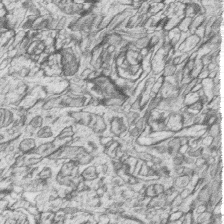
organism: Zebrafish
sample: synaptic ribbons in rod cells and cone cells